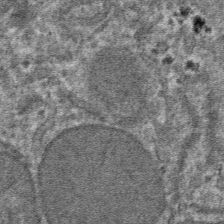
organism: Mouse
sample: Mouse hepatocytes